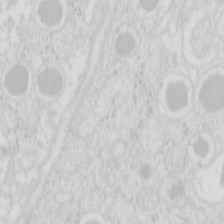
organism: Mouse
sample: Pancreas